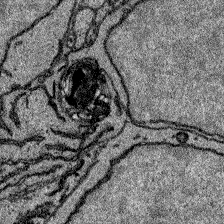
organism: Zebrafish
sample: Larval olfactory bulb